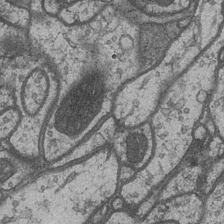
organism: Drosophila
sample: Optic medulla